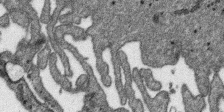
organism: Human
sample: Lung epithelial cells infected with SARS-CoV-2